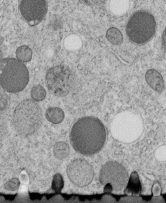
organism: C. elegans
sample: C. elegans embryo early stage